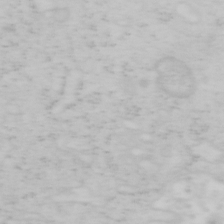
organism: Mouse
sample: OT-I killer T cells with ID8 ovarian cancer cells